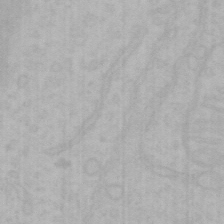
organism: Mouse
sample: Choroid plexus